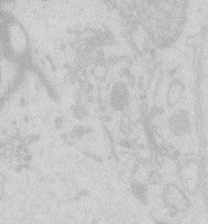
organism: Zebrafish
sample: Macrophage